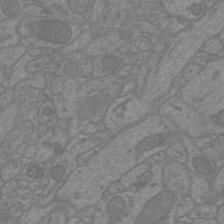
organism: Mouse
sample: Cortical neurons